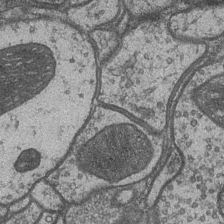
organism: Drosophila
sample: Optic medulla